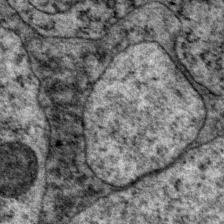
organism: P. pacificus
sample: Pharynx